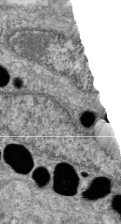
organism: Zebrafish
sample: Cilia; retinal pigment epithelium